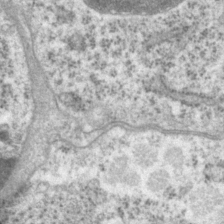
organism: P. pacificus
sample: Pharynx